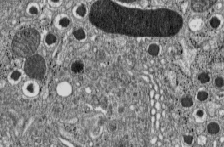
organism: C57BL Mouse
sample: Pancreatic islet